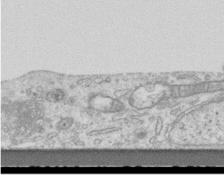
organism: Mouse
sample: Centriole in ependymal cells